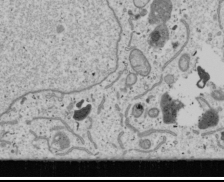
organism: Human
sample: Mitochondria in U2OS cells